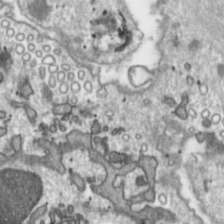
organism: Toxoplasma gondii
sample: Parasites in a vacuole inside a host cell